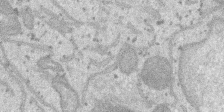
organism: Human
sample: Lung epithelial cells infected with SARS-CoV-2